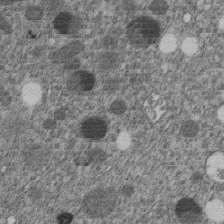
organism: C. elegans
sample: C. elegans embryo early stage